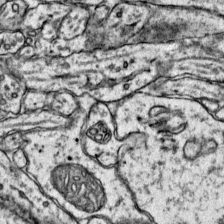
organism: Mouse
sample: Primary visual cortex